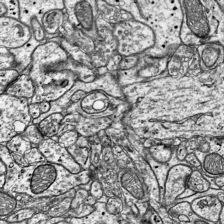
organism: Mouse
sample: Visual Cortex